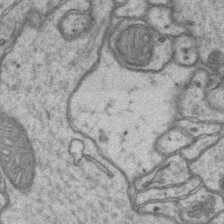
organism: Mouse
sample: CA1 Hippocampus